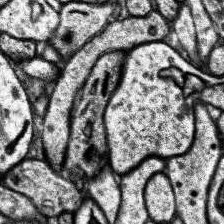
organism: Human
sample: Temporal Lobe